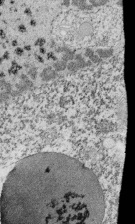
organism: Tetrahymena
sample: Cilia in tetrahymena